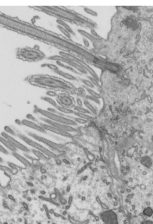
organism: Mouse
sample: Mouse epididymis efferent ductule cilia